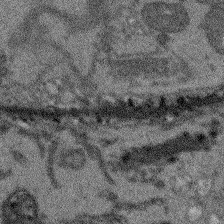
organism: Arabidopsis thaliana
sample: Root tip